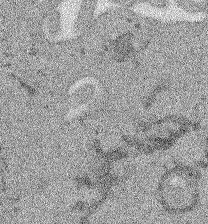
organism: Human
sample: HeLa cells